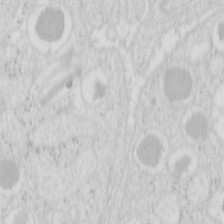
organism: Mouse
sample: Pancreas